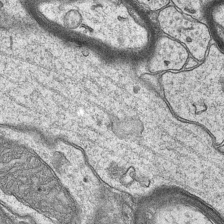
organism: Mouse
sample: CA1 Hippocampus